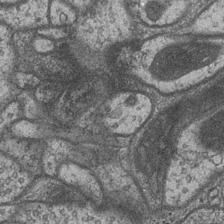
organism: Drosophila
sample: Optic medulla